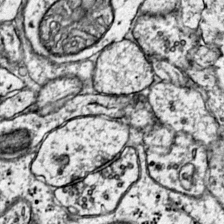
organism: Mouse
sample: Primary visual cortex